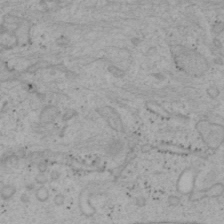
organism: Human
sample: HeLa cells